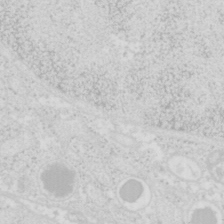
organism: Mouse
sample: Pancreas